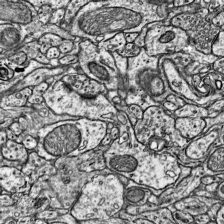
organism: Mouse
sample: Visual Cortex